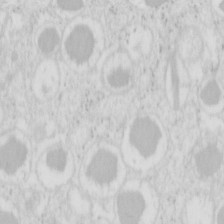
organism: Mouse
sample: Pancreas